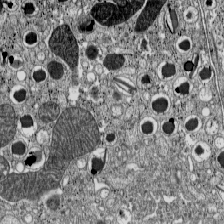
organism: C57BL Mouse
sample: Pancreatic islet